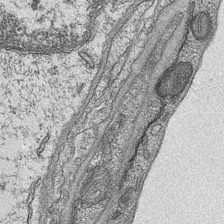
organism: Mouse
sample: CA1 Hippocampus